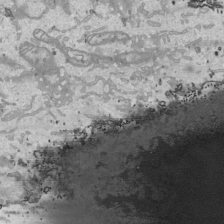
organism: Human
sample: Mitochondria in HCT116 cells